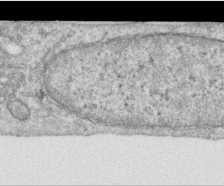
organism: Human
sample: Centriole in RPE cells